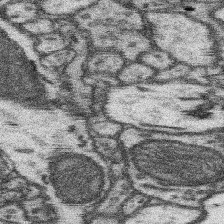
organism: Mouse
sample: Somatosensory cortex neuropil